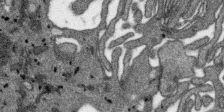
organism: Human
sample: Lung epithelial cells, uninfected (mock) control